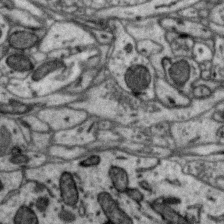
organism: Zebra finch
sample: Brain